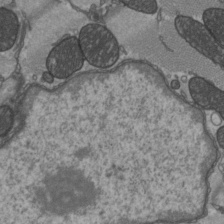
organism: C57BL Mouse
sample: Heart